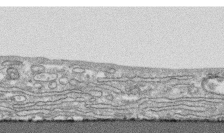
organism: Human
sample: CRL-1474